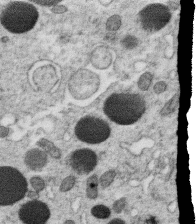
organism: C. elegans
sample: C. elegans oocyte; sperm cells